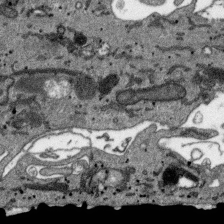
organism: Human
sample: Lung epithelial cells, uninfected (mock) control